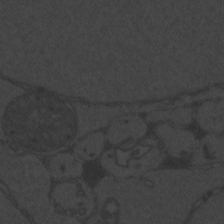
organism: Zebrafish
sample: Macrophage infected with Toxoplasma gondii